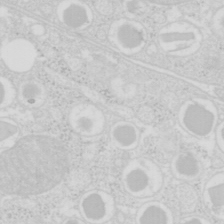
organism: Mouse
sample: Pancreas